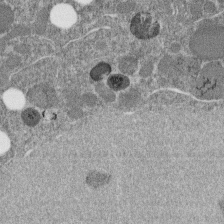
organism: C. elegans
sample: C. elegans embryo early stage